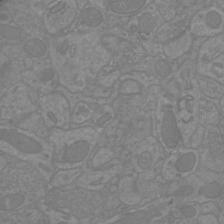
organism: Mouse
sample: Cortical neurons